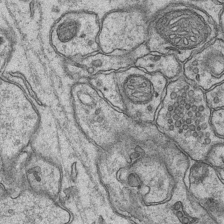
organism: Mouse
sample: CA1 Hippocampus